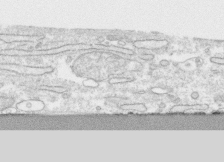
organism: Human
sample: CRL-1474